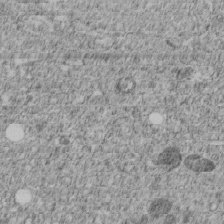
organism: C. elegans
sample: C. elegans embryo early stage